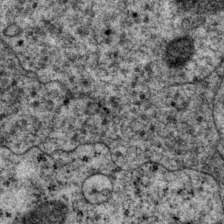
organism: P. pacificus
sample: Pharynx